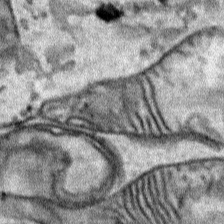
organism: Human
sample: Mitochondria in HCT116 cells